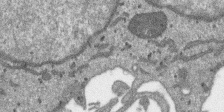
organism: Human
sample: Lung epithelial cells infected with SARS-CoV-2